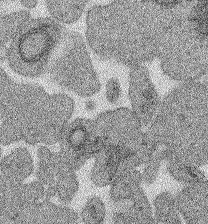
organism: Human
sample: HeLa cells